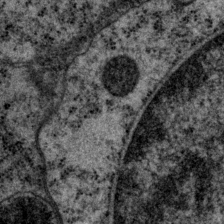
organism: P. pacificus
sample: Pharynx